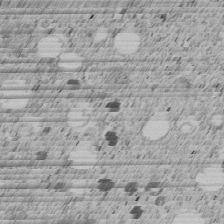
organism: C. elegans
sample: C. elegans embryo early stage